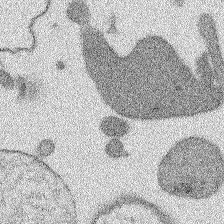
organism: Human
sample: HeLa cells